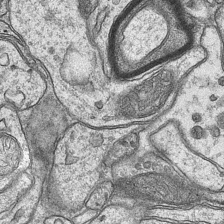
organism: Mouse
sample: CA1 Hippocampus